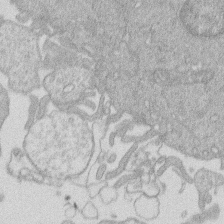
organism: Human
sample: Macrophage cells